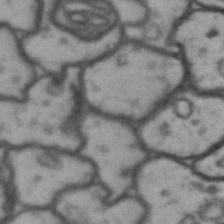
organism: Drosophila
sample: Brain